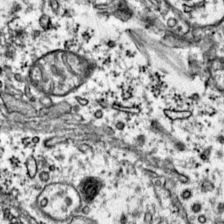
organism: Mouse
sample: Primary visual cortex